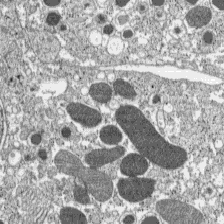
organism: C57BL Mouse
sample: Pancreatic islet